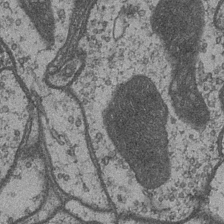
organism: Drosophila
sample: Optic medulla